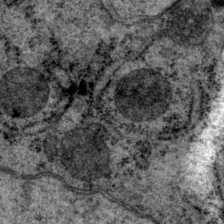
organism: P. pacificus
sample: Pharynx